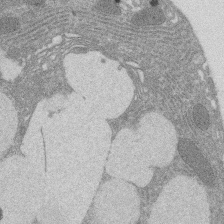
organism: Rat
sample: Salivary granule